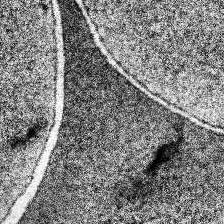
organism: Human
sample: Temporal Lobe